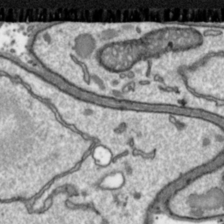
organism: Toxoplasma gondii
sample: Parasites in a vacuole inside a host cell